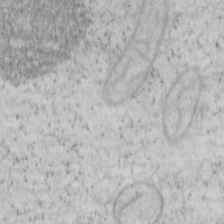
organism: Human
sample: HeLa cells